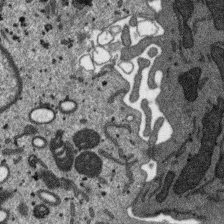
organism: Human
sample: Lung epithelial cells infected with SARS-CoV-2